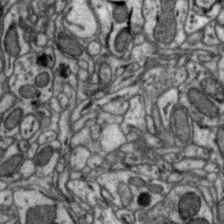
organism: Zebra finch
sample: Brain